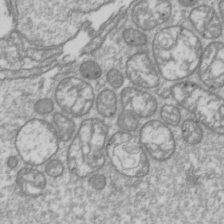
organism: Drosophila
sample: Cell division; meiosis; drosophila spermatocytes